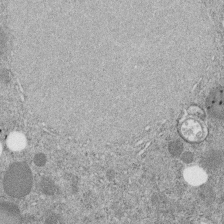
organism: C. elegans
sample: C. elegans embryo early stage